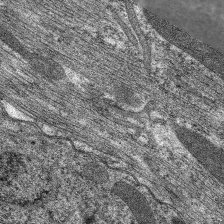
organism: C. elegans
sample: Pharynx